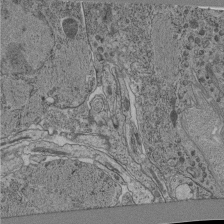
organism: C. elegans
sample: C. elegans pharynx